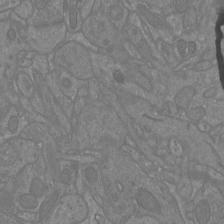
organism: Mouse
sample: Cortical neurons